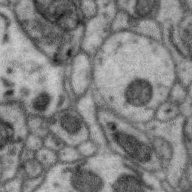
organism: Zebra finch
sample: Brain